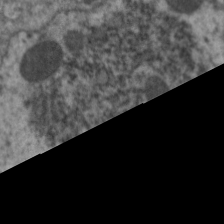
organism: C. elegans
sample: Pharynx